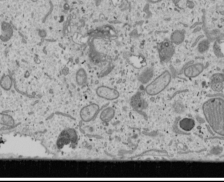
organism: Human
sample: Mitochondria in U2OS cells